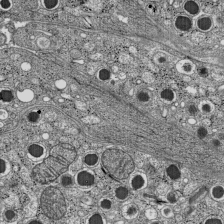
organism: C57BL Mouse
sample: Pancreatic islet